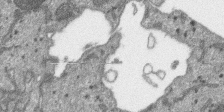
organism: Human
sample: Lung epithelial cells infected with SARS-CoV-2